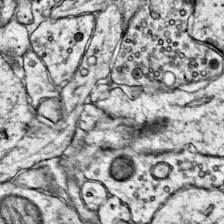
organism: Mouse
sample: Primary visual cortex